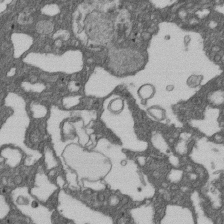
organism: Drosophila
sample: Nephrocyte